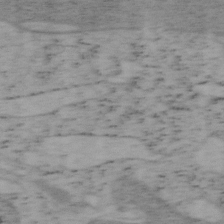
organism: Mouse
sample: OT-I killer T cells with ID8 ovarian cancer cells